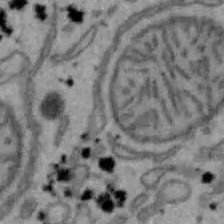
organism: Mouse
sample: Liver